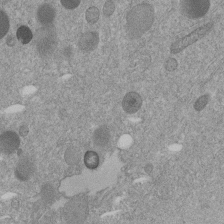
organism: C. elegans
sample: C. elegans embryo early stage